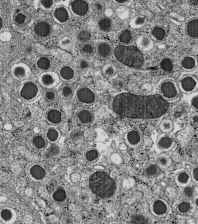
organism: C57BL Mouse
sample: Pancreatic islet